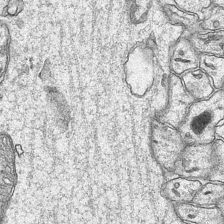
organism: Mouse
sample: CA1 Hippocampus